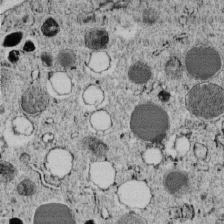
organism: C. elegans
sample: C. elegans embryo early stage